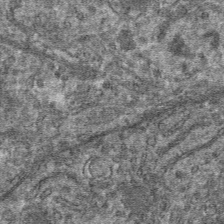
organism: Mouse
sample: Mouse hepatocytes